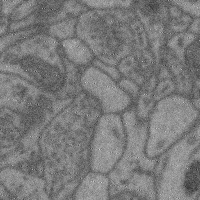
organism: Mouse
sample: Cerebral cortex